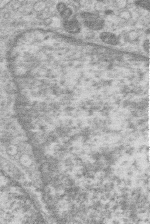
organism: Human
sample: Macrophage cells